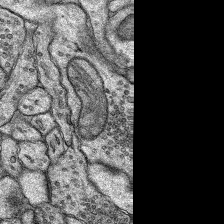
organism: Rat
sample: Hippocampus